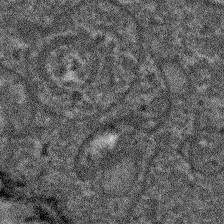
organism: Arabidopsis thaliana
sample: Root tip